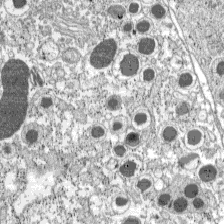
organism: C57BL Mouse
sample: Pancreatic islet